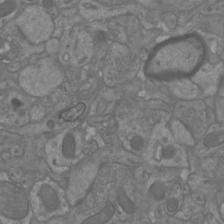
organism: Mouse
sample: Cortical neurons